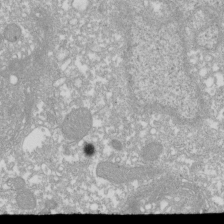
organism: Xenopus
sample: Cilia; centrioles in frog embryo cells